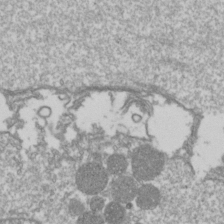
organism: Drosophila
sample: Cell division; meiosis; drosophila spermatocytes